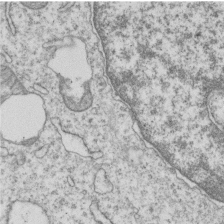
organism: Human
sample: MDA-MB-231 cells